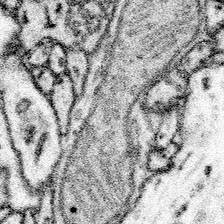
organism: Mouse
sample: Somatosensory cortex neuropil